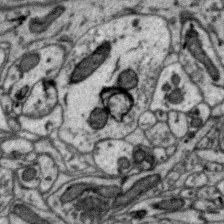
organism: Zebra finch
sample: Brain